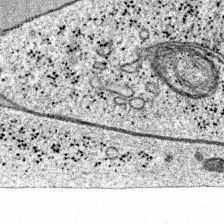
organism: Human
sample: HeLa cells